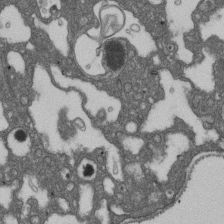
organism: Drosophila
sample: Nephrocyte